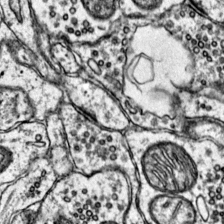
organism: Mouse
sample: Primary visual cortex